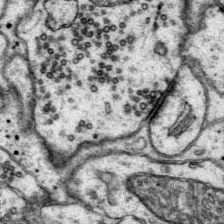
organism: Mouse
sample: Primary visual cortex